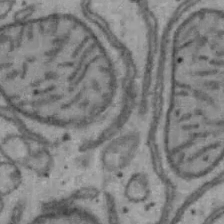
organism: Mouse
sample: Liver